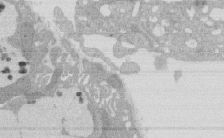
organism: Rat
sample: Salivary granule